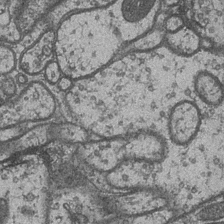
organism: Drosophila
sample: Optic medulla